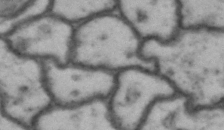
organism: Drosophila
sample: Brain